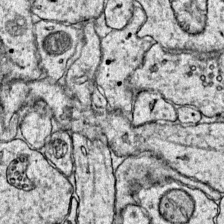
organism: Mouse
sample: Primary visual cortex